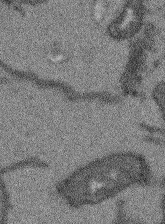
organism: Arabidopsis thaliana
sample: Root tip